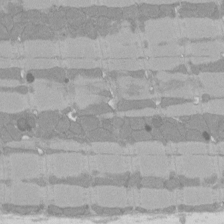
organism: Rat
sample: Left ventricle